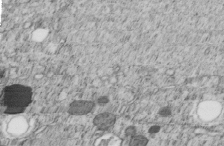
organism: C. elegans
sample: C. elegans embryo early stage